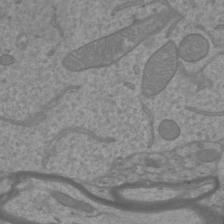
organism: Mouse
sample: Cortical neurons